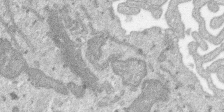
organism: Human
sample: Lung epithelial cells infected with SARS-CoV-2